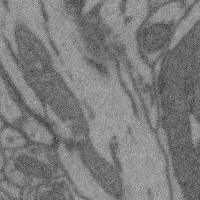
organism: Mouse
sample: Cerebral cortex